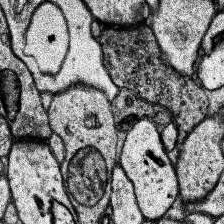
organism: Human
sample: Temporal Lobe